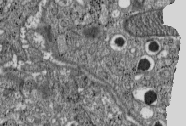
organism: C57BL Mouse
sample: Pancreatic islet